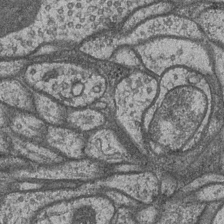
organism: Drosophila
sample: Optic medulla